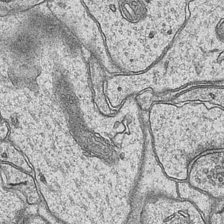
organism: Mouse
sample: CA1 Hippocampus